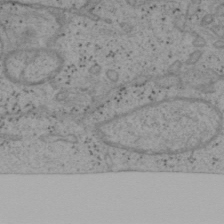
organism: Human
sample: HeLa cells